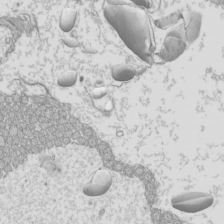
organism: Mouse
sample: Cilia; mouse epididymis